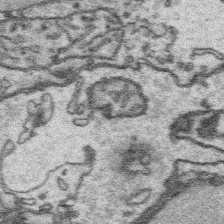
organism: Platynereis dumerilii